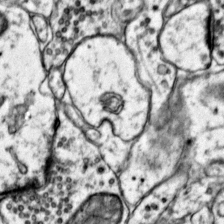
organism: Mouse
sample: Primary visual cortex